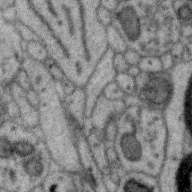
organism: Zebra finch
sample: Brain